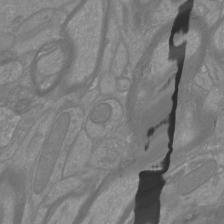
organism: Mouse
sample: Cortical neurons